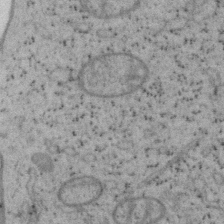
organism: Human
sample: HeLa cells